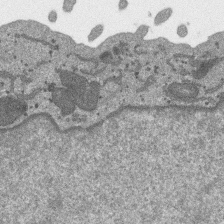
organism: Human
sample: Lung epithelial cells infected with SARS-CoV-2